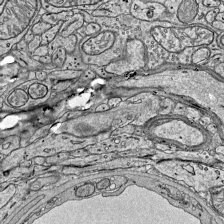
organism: Mouse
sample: Visual Cortex